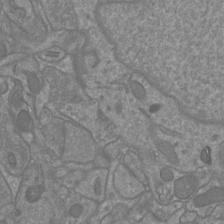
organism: Mouse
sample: Cortical neurons